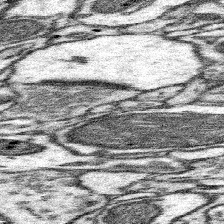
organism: Mouse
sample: Somatosensory cortex neuropil